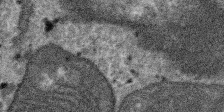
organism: Human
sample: Lung epithelial cells infected with SARS-CoV-2